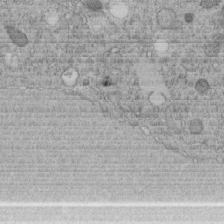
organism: C. elegans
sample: C. elegans embryo early stage